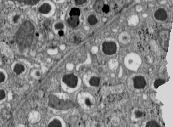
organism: C57BL Mouse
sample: Pancreatic islet